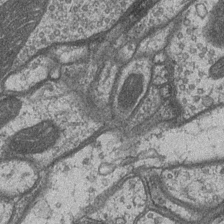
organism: Drosophila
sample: Optic medulla